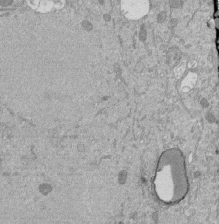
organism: Mouse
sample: ED-1 cell nuclei; centrioles